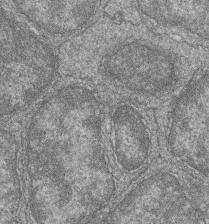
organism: Zebrafish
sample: Cilia; retinal pigment epithelium